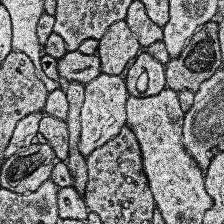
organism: Human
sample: Temporal Lobe